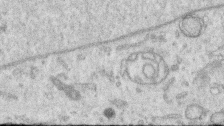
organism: Human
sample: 1205lu cells